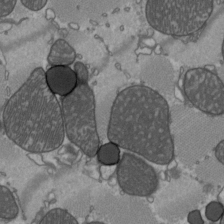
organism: C57BL Mouse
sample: Heart